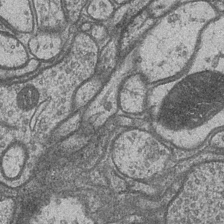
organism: Drosophila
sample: Optic medulla